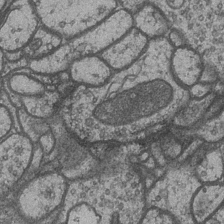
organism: Drosophila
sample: Optic medulla